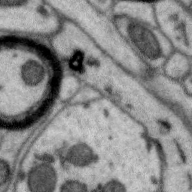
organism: Zebra finch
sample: Brain